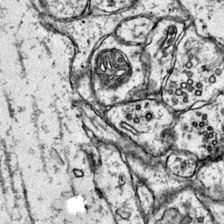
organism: Mouse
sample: Primary visual cortex